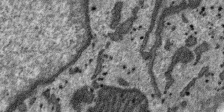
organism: Human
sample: Lung epithelial cells, uninfected (mock) control